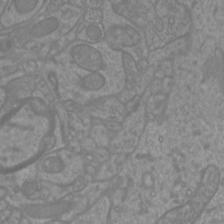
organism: Mouse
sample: Cortical neurons